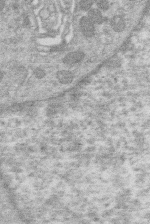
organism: Human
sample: Macrophage cells